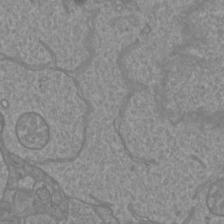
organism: Mouse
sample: Cortical neurons